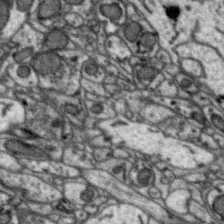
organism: Zebra finch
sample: Brain